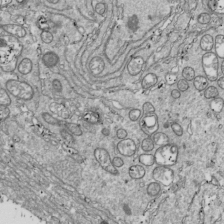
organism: Drosophila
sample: Cell division; meiosis; drosophila spermatocytes